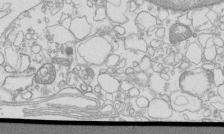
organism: Mouse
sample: Macrophages